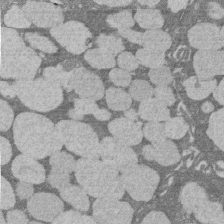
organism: Rat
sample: Salivary granule